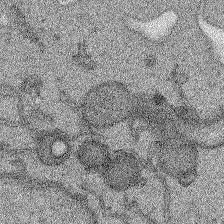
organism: Human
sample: HeLa cells